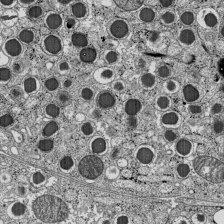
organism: C57BL Mouse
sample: Pancreatic islet